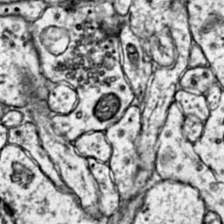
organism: Mouse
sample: Primary visual cortex